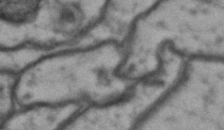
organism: Drosophila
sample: Brain